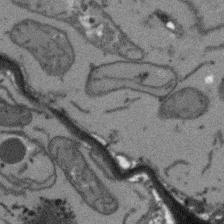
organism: Arabidopsis thaliana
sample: Root tip